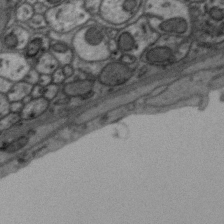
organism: Zebra finch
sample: Brain